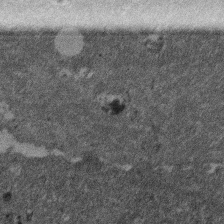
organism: Mouse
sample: Dividing mouse embryo 1 cell stage